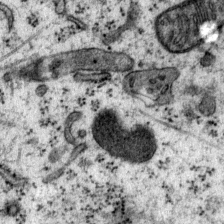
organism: Mouse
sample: Primary visual cortex